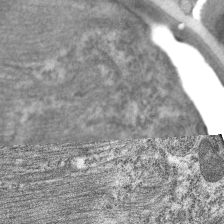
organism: C. elegans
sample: Pharynx